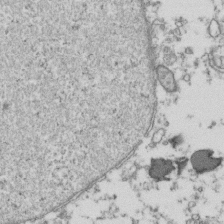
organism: Human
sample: Activated Jurkat CD4+ T cells